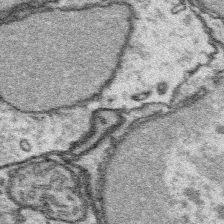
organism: Platynereis dumerilii